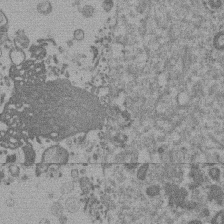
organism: Mouse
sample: Dividing mouse embryo 1 cell stage